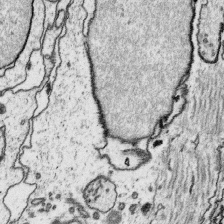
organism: Platynereis dumerilii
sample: Parapodia